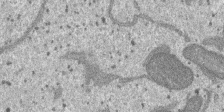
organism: Human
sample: Lung epithelial cells infected with SARS-CoV-2